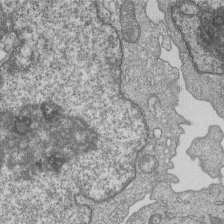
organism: Human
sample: MDA-MB-231 cells